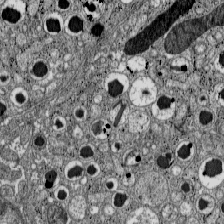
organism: C57BL Mouse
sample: Pancreatic islet